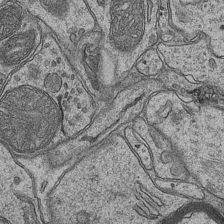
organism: Mouse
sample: CA1 Hippocampus